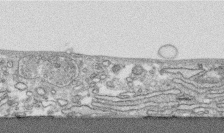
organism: Human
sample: CRL-1474